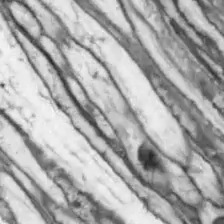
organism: Drosophila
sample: Optic lobe